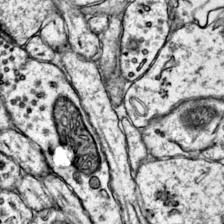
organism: Mouse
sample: Primary visual cortex